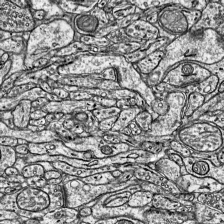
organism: Mouse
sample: Visual Cortex